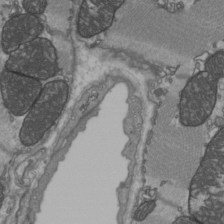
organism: C57BL Mouse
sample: Heart